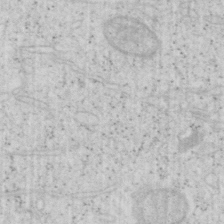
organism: Human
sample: HeLa cells